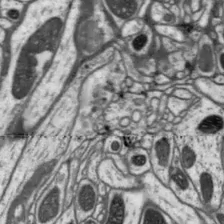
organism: Drosophila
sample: Protocerebral bridge